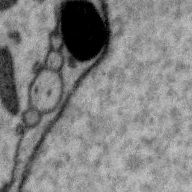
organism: Zebra finch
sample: Brain